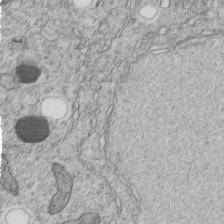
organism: C. elegans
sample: C. elegans embryo early stage